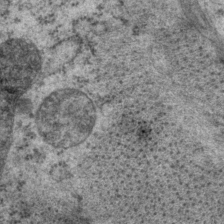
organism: P. pacificus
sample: Pharynx